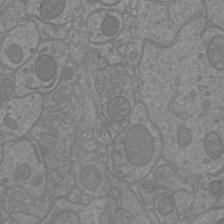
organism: Mouse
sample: Cortical neurons